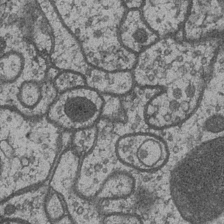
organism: Drosophila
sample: Optic medulla